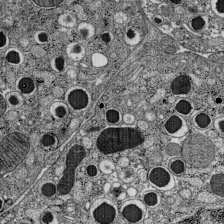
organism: C57BL Mouse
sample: Pancreatic islet